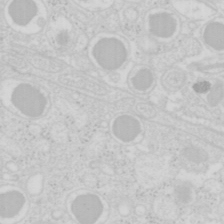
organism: Mouse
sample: Pancreas